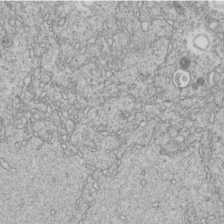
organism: C. elegans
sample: C. elegans embryo early stage